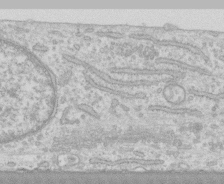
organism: Human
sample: CRL-1474